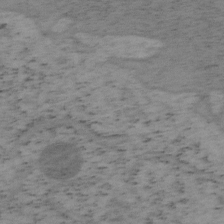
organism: Mouse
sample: OT-I killer T cells with ID8 ovarian cancer cells